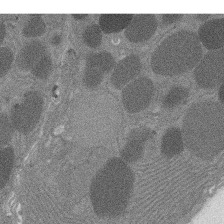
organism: Rat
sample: Salivary granule